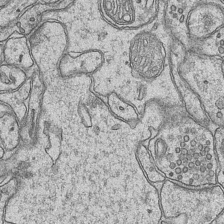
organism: Mouse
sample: CA1 Hippocampus